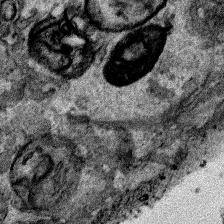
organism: Human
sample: Mitochondria in HCT116 cells